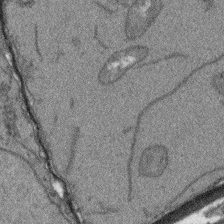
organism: Arabidopsis thaliana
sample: Root tip